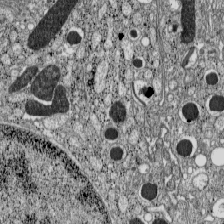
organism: C57BL Mouse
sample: Pancreatic islet